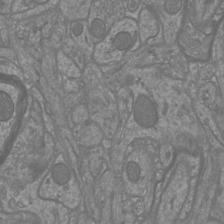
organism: Mouse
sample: Cortical neurons